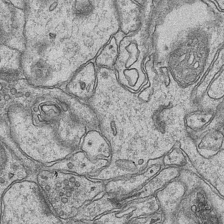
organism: Mouse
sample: CA1 Hippocampus